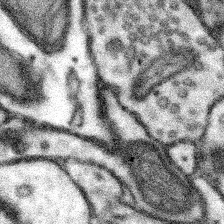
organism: Mouse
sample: Somatosensory cortex neuropil